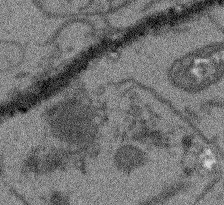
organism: Arabidopsis thaliana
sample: Root tip